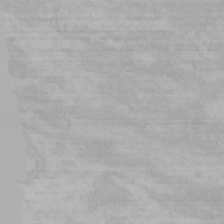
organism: Mouse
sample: Choroid plexus